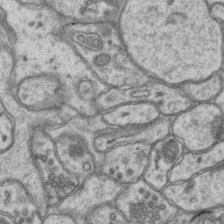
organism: Mouse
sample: CA1 Hippocampus